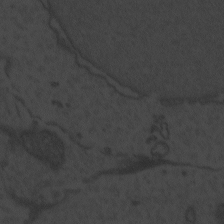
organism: Zebrafish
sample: Macrophage infected with Toxoplasma gondii